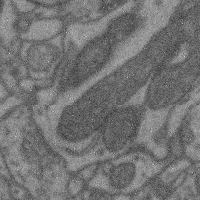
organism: Mouse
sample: Cerebral cortex